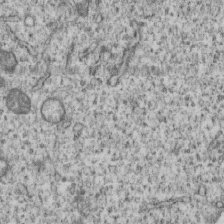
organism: Human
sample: MDA-MB-231 cells